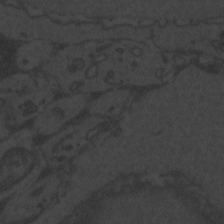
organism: Zebrafish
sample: Macrophage infected with Toxoplasma gondii